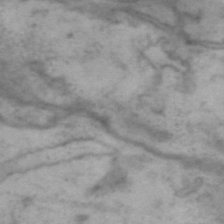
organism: Drosophila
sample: Brain